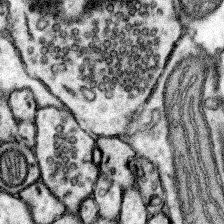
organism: Mouse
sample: Somatosensory cortex neuropil